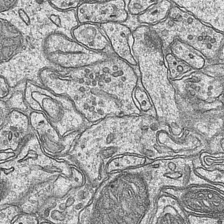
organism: Mouse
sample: CA1 Hippocampus